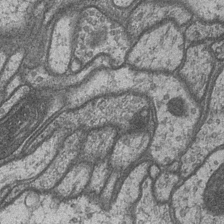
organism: Drosophila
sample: Optic medulla